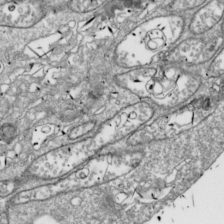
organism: Drosophila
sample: Cell division; meiosis; drosophila spermatocytes